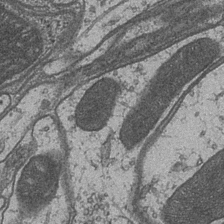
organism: Drosophila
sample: Optic medulla